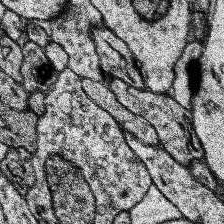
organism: Human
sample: Temporal Lobe